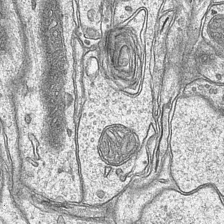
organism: Mouse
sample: CA1 Hippocampus